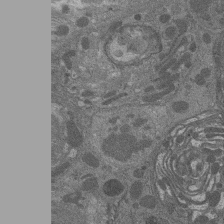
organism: Drosophila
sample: Antenna